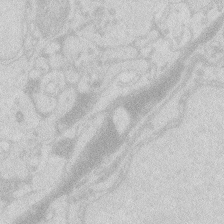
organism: Zebrafish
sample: Macrophage